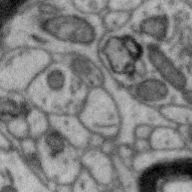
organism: Zebra finch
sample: Brain